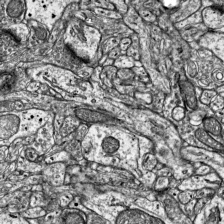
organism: Mouse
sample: Visual Cortex